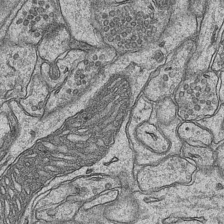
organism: Mouse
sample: CA1 Hippocampus